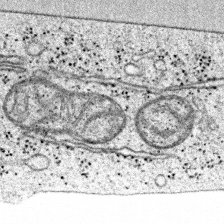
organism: Human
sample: HeLa cells